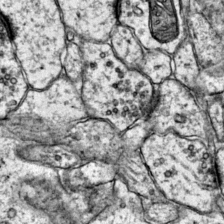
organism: Mouse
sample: Primary visual cortex